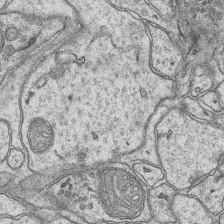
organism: Mouse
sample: CA1 Hippocampus